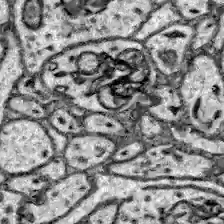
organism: Zebrafish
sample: Brain